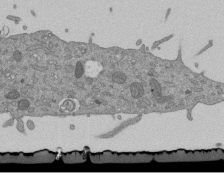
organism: Mouse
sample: ED-1 cell nuclei; centrioles